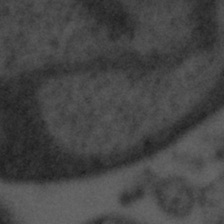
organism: Tuwongella immobilis